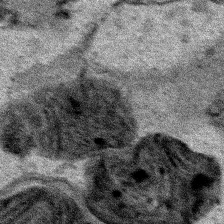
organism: Human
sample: Mitochondria in HCT116 cells